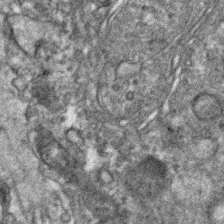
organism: Human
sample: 1205lu cells